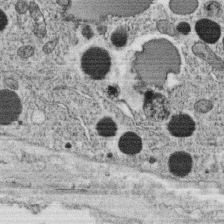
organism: C. elegans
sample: C. elegans oocyte; sperm cells